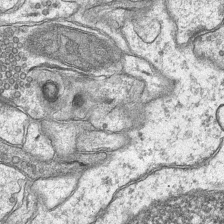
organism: Mouse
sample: CA1 Hippocampus